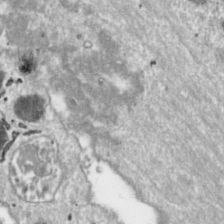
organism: Toxoplasma gondii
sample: Parasites in a vacuole inside a host cell